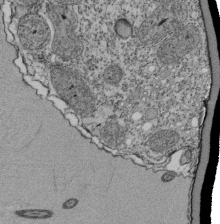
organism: Tetrahymena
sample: Cilia in tetrahymena